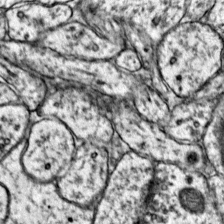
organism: Mouse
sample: Primary visual cortex